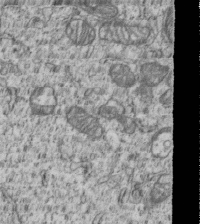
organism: Human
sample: MDA-MB-231 cells